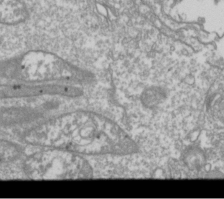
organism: Drosophila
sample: Cell division; meiosis; drosophila spermatocytes